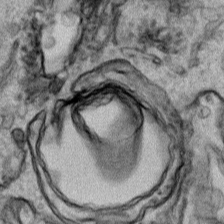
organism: Human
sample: Mitochondria in HCT116 cells